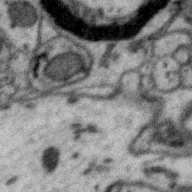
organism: Zebra finch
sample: Brain